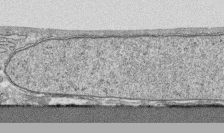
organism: Human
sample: CRL-1474